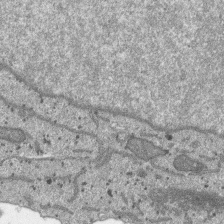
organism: Human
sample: Lung epithelial cells infected with SARS-CoV-2